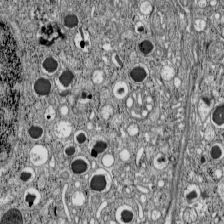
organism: C57BL Mouse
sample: Pancreatic islet